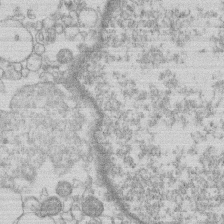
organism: Human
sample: Macrophage cells